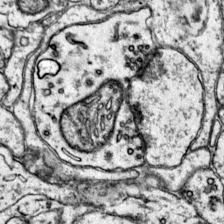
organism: Mouse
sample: Primary visual cortex